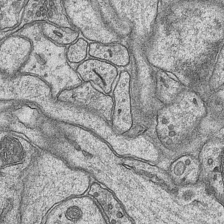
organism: Mouse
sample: CA1 Hippocampus